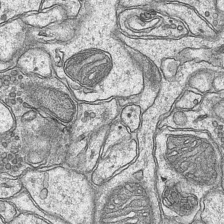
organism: Mouse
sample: CA1 Hippocampus